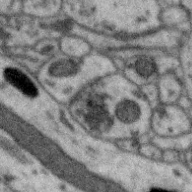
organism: Zebra finch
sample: Brain